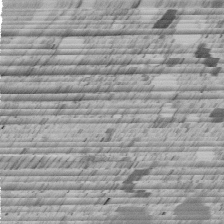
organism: C. elegans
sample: C. elegans embryo early stage